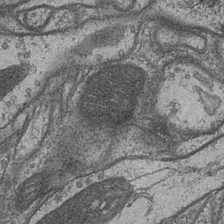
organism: Drosophila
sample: Optic medulla